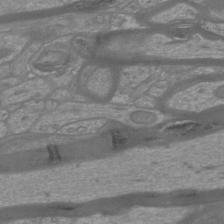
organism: Mouse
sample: Cortical neurons